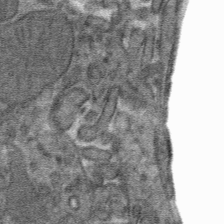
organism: Mouse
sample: Mouse hepatocytes